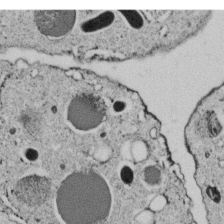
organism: C. elegans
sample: C. elegans embryo early stage